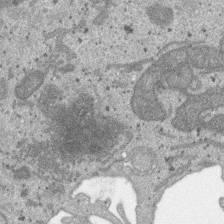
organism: Human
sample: Lung epithelial cells infected with SARS-CoV-2